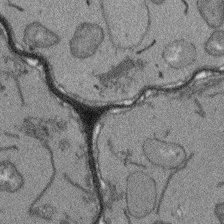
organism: Arabidopsis thaliana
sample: Root tip